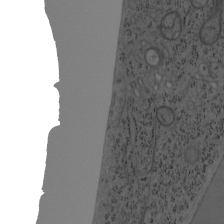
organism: Mouse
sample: OT-I killer T cells with ID8 ovarian cancer cells